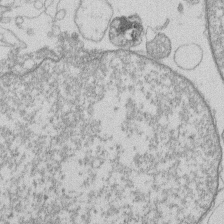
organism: Human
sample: Macrophage cells